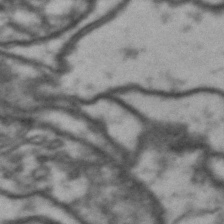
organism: Drosophila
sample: Brain